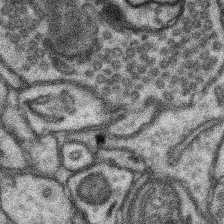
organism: Mouse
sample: Somatosensory cortex neuropil